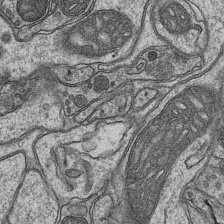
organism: Mouse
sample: CA1 Hippocampus